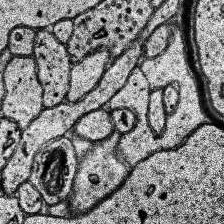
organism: Human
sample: Temporal Lobe